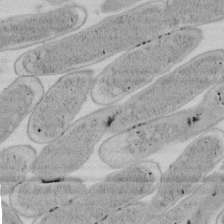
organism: E. coli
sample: Bacterial nucleoid